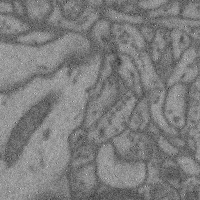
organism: Mouse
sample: Cerebral cortex